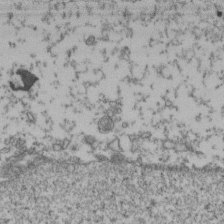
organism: Human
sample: Activated Jurkat CD4+ T cells